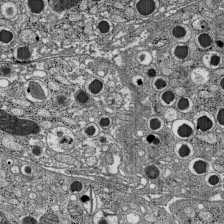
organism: C57BL Mouse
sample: Pancreatic islet